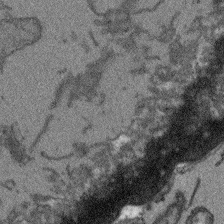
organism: Arabidopsis thaliana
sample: Root tip